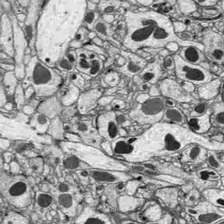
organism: Drosophila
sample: Optic lobe